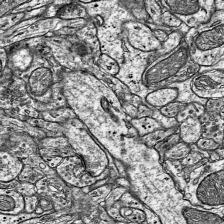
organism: Mouse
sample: Visual Cortex